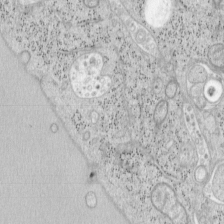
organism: Mouse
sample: OT-I killer T cells with ID8 ovarian cancer cells